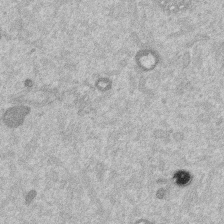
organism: Mouse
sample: Dividing mouse embryo 1 cell stage